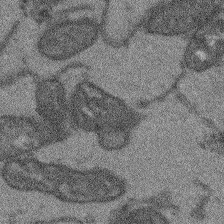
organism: Arabidopsis thaliana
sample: Root tip